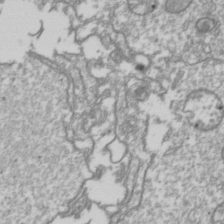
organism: Drosophila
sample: Cell division; meiosis; drosophila spermatocytes